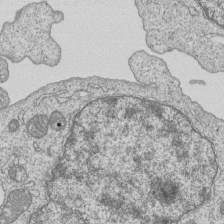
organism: Human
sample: MDA-MB-231 cells